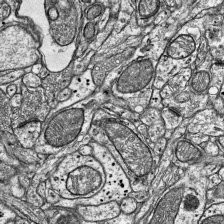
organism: Mouse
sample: Visual Cortex